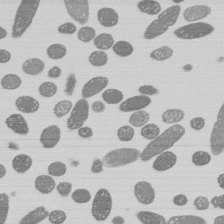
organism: E. coli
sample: Bacterial nucleoid